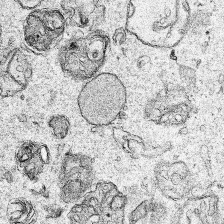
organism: Human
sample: Mitochondria in HCT116 cells